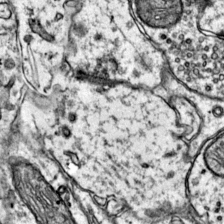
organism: Mouse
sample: Primary visual cortex